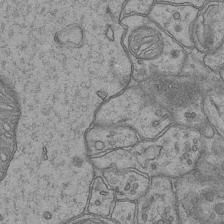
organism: Mouse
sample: CA1 Hippocampus